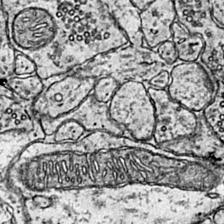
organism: Mouse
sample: Primary visual cortex